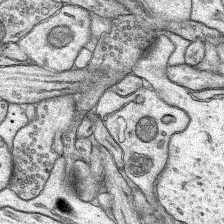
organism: Rat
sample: Hippocampus